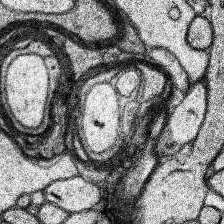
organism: Human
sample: Temporal Lobe